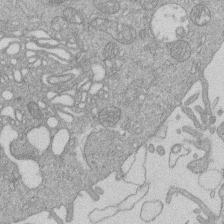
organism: Human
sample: Macrophage cells